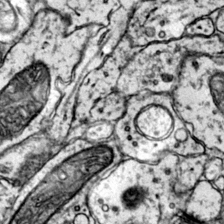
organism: Mouse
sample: Primary visual cortex